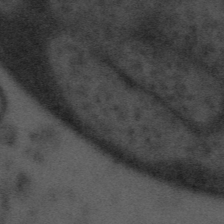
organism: Tuwongella immobilis